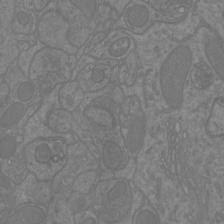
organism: Mouse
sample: Cortical neurons